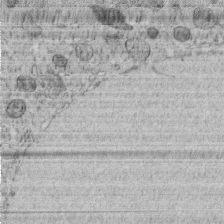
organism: C. elegans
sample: C. elegans embryo early stage